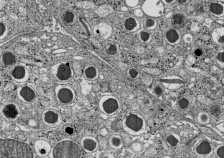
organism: C57BL Mouse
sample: Pancreatic islet